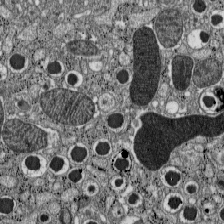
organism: C57BL Mouse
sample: Pancreatic islet